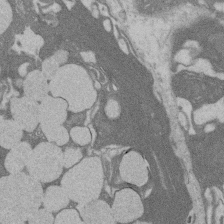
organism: Rat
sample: Salivary granule